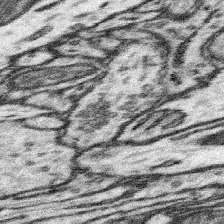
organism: Mouse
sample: Somatosensory cortex neuropil